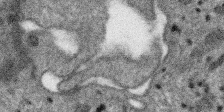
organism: Human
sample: Lung epithelial cells infected with SARS-CoV-2